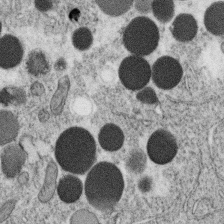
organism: C. elegans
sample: C. elegans oocyte; sperm cells